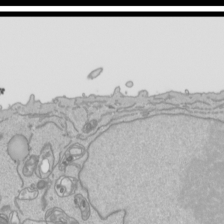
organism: Human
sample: Mitochondria in HCT116 cells